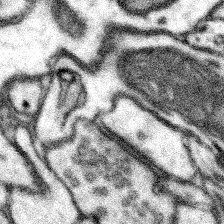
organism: Mouse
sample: Somatosensory cortex neuropil